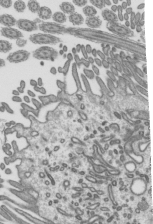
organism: Mouse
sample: Mouse epididymis efferent ductule cilia